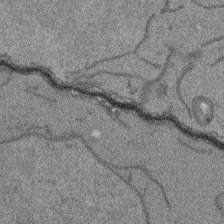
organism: Arabidopsis thaliana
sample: Root tip